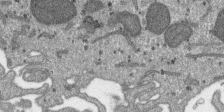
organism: Human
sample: Lung epithelial cells infected with SARS-CoV-2